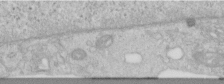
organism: Human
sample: Centriole in RPE cells